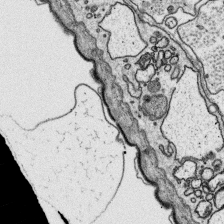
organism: Platynereis dumerilii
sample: Parapodia